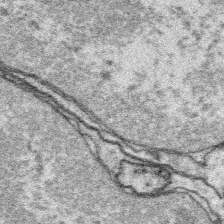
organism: Platynereis dumerilii